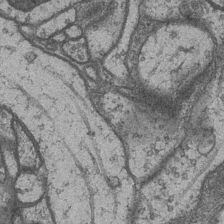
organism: Drosophila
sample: Optic medulla